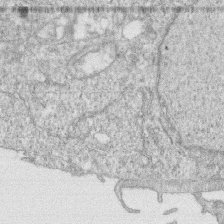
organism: Human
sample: HeLa cell HIV synapse